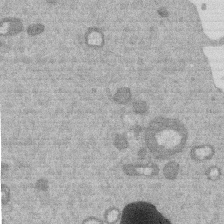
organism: Mouse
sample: Dividing mouse embryo 1 cell stage